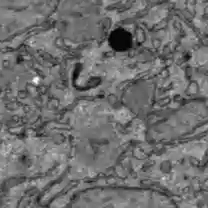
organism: C57BL Mouse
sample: Liver